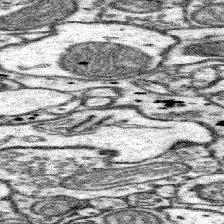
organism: Mouse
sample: Somatosensory cortex neuropil